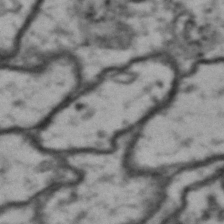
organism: Drosophila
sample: Brain